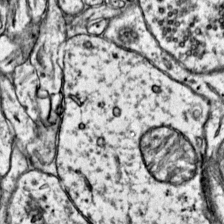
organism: Mouse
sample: Primary visual cortex